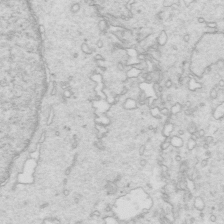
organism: Mouse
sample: Multiciliated cells